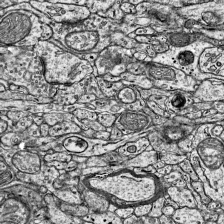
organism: Mouse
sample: Visual Cortex